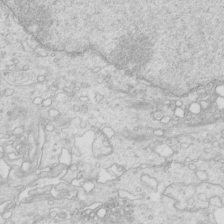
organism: Mouse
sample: Multiciliated cells